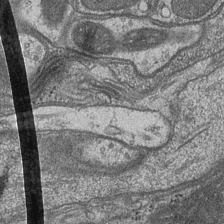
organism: Drosophila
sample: Optic medulla